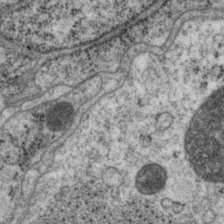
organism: P. pacificus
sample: Pharynx